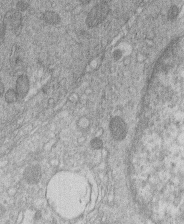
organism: Human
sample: Macrophage cells